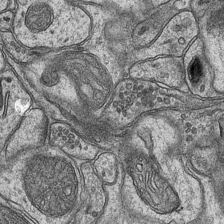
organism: Mouse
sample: CA1 Hippocampus